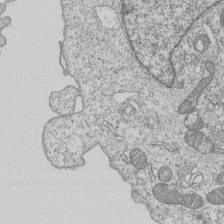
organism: Human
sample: MDA-MB-231 cells